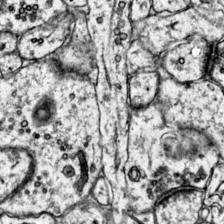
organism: Mouse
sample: Primary visual cortex